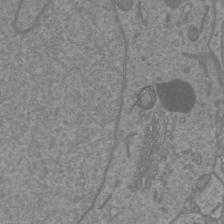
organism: Mouse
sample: Cortical neurons